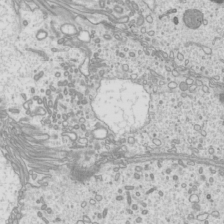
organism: Mouse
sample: Cilia; mouse epididymis